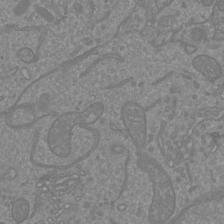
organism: Mouse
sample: Cortical neurons